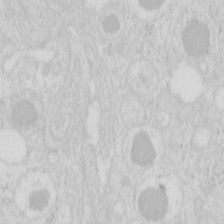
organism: Mouse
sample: Pancreas